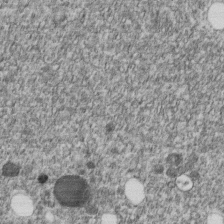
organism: C. elegans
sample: C. elegans embryo early stage